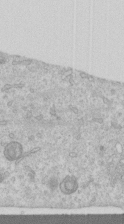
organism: Human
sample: Centriole in RPE cells